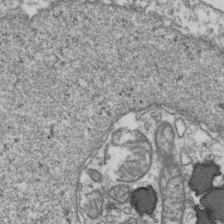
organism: Human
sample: Activated Jurkat CD4+ T cells